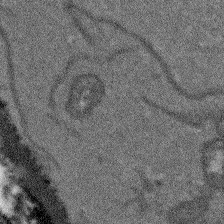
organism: Arabidopsis thaliana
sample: Root tip